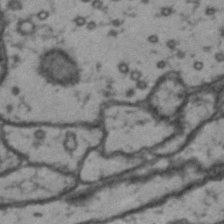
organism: Drosophila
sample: Brain